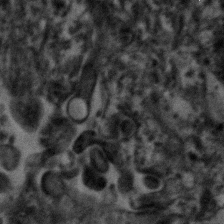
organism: Human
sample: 1205lu cells